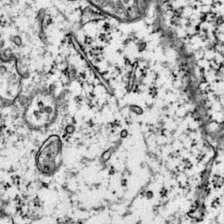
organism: Mouse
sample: Primary visual cortex